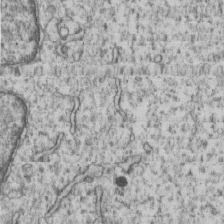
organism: Human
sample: MDA-MB-231 cells